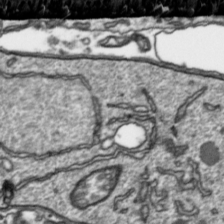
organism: Toxoplasma gondii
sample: Parasites in a vacuole inside a host cell